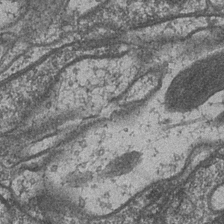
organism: Drosophila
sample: Optic medulla